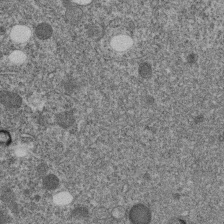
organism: C. elegans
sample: C. elegans embryo early stage